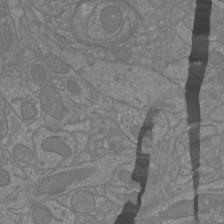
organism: Mouse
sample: Cortical neurons